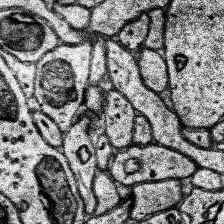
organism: Human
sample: Temporal Lobe